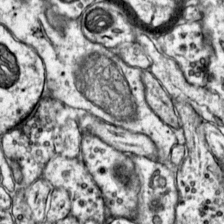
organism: Mouse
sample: Primary visual cortex